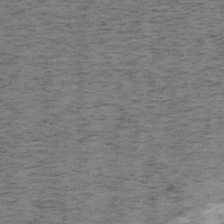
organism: Mouse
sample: OT-I killer T cells with ID8 ovarian cancer cells